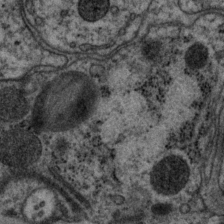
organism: P. pacificus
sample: Pharynx